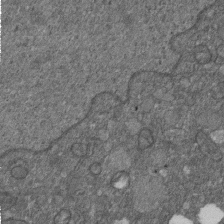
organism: Drosophila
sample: Nephrocyte